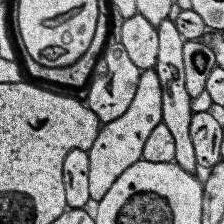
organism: Human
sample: Temporal Lobe